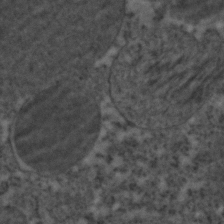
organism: C. elegans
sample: C. elegans embryo